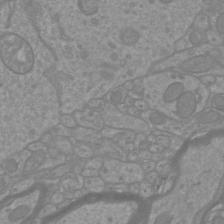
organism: Mouse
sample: Cortical neurons